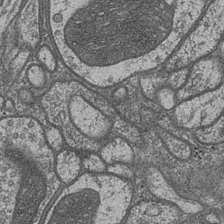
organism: Drosophila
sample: Optic medulla